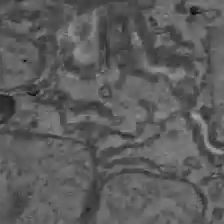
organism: C57BL Mouse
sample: Liver